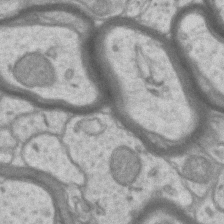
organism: Mouse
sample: CA1 Hippocampus